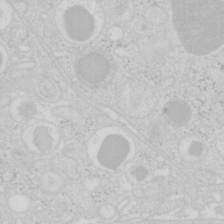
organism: Mouse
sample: Pancreas